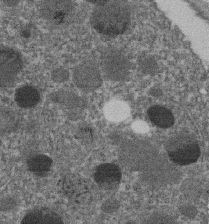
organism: C. elegans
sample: C. elegans embryo early stage